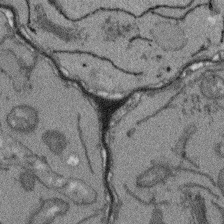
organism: Arabidopsis thaliana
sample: Root tip